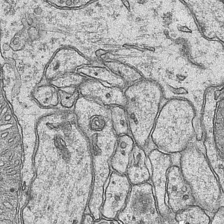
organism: Mouse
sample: CA1 Hippocampus